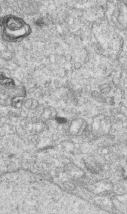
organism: Human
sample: HeLa cell HIV synapse